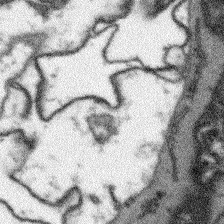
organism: Arabidopsis thaliana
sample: Root tip